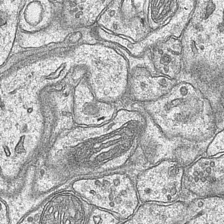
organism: Mouse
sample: CA1 Hippocampus